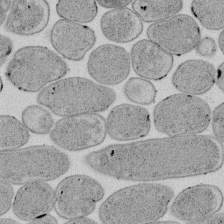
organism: E. coli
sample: Bacterial nucleoid